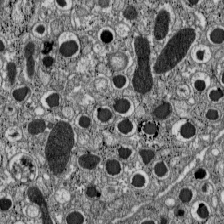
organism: C57BL Mouse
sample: Pancreatic islet